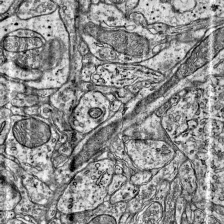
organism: Mouse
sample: Visual Cortex